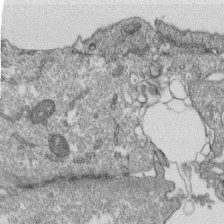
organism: African green monkey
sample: Vero E6 cells infected with SARS-CoV-2